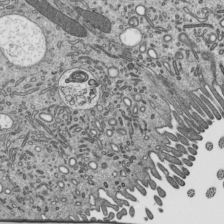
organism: Mouse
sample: Mouse epididymis efferent ductule cilia